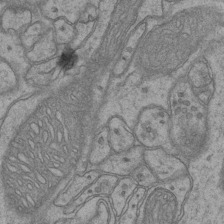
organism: Mouse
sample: CA1 Hippocampus